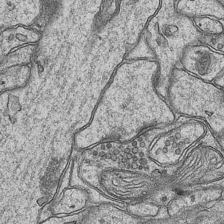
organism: Mouse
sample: CA1 Hippocampus